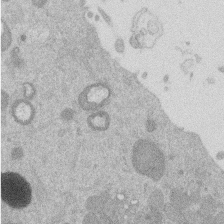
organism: Mouse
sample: Dividing mouse embryo 1 cell stage